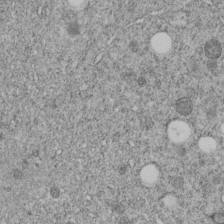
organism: C. elegans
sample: C. elegans embryo early stage